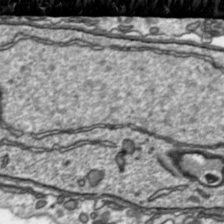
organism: Toxoplasma gondii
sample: Parasites in a vacuole inside a host cell